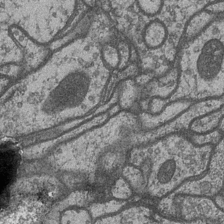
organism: Drosophila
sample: Optic medulla